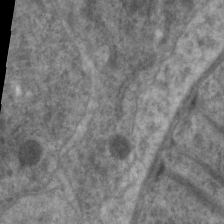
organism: C. elegans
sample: Pharynx